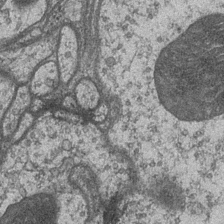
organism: Drosophila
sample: Optic medulla